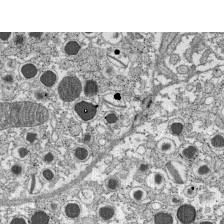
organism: C57BL Mouse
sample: Pancreatic islet